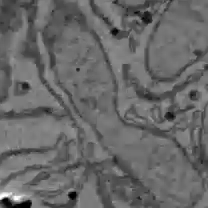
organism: C57BL Mouse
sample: Liver